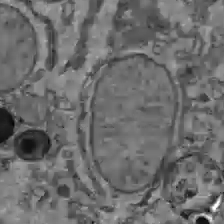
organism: C57BL Mouse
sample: Liver